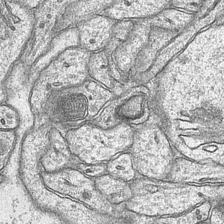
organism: Mouse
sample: CA1 Hippocampus